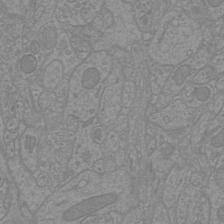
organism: Mouse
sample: Cortical neurons